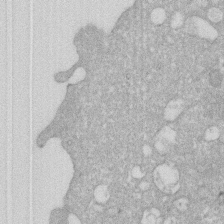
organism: Human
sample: HIV infected U937 cells